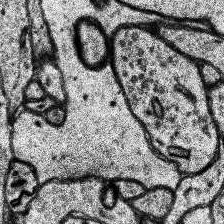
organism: Human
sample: Temporal Lobe